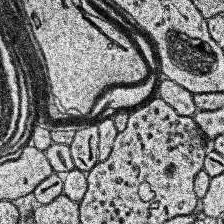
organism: Human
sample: Temporal Lobe